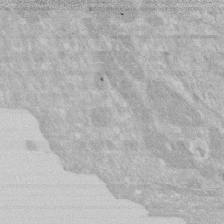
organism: Human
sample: HIV infected U937 cells